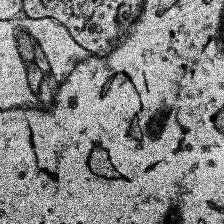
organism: Human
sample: Temporal Lobe